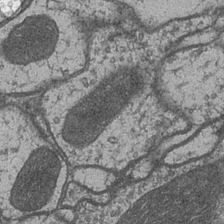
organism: Drosophila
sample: Optic medulla